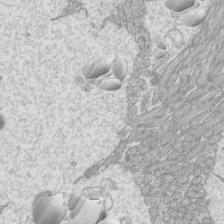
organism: Mouse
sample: Cilia; mouse epididymis